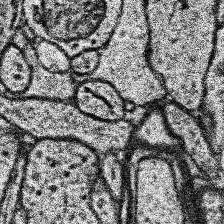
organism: Human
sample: Temporal Lobe